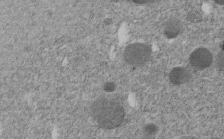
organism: C. elegans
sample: C. elegans embryo early stage